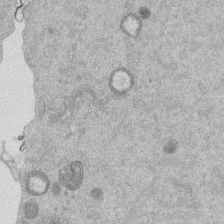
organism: Mouse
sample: Dividing mouse embryo 1 cell stage